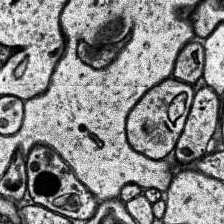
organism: Human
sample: Temporal Lobe